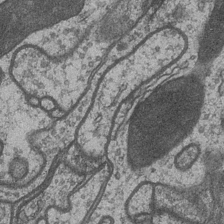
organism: Drosophila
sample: Optic medulla